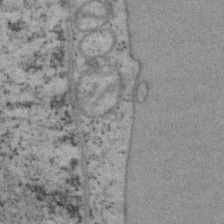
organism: Human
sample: HeLa cells